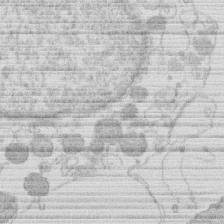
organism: Human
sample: Macrophage cells